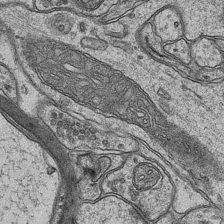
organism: Mouse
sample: CA1 Hippocampus